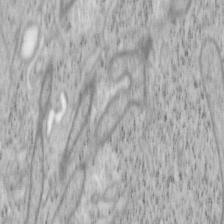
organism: Human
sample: HeLa cells